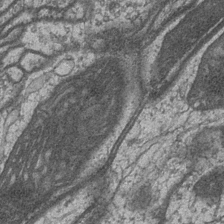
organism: Drosophila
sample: Optic medulla